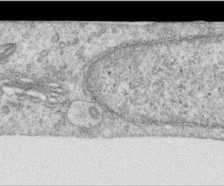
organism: Human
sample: Centriole in RPE cells